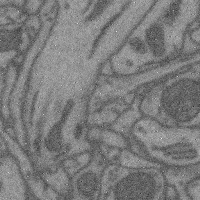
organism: Mouse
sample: Cerebral cortex